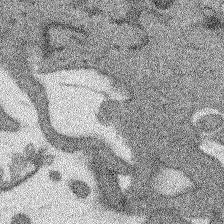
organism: Human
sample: HeLa cells